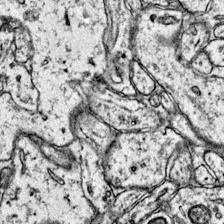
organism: Mouse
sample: Primary visual cortex